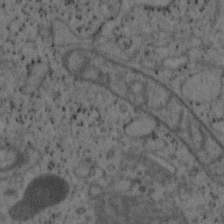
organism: Human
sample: HeLa cells